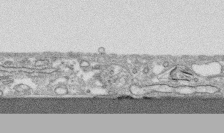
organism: Human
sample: CRL-1474